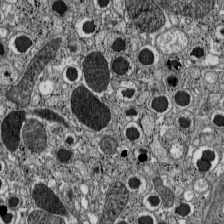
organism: C57BL Mouse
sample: Pancreatic islet